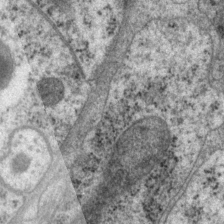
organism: P. pacificus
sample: Pharynx